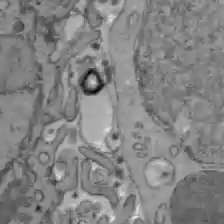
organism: C57BL Mouse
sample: Liver